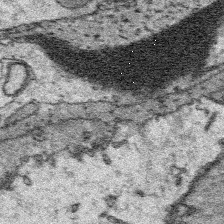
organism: Platynereis dumerilii